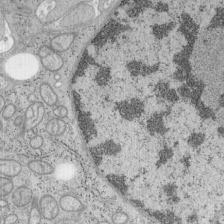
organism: Mouse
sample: OT-I killer T cells with ID8 ovarian cancer cells